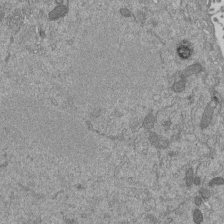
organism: Mouse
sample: ED-1 cell nuclei; centrioles